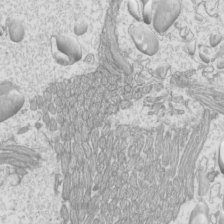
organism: Mouse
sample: Cilia; mouse epididymis